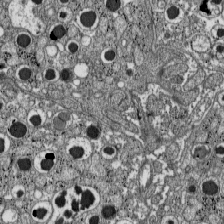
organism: C57BL Mouse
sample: Pancreatic islet